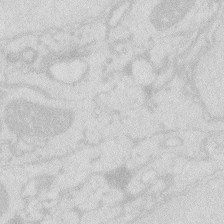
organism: Zebrafish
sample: Macrophage